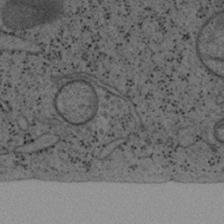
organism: Human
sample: HeLa cells